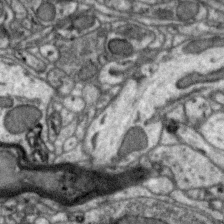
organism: Zebra finch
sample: Brain